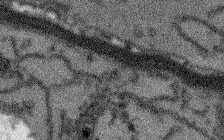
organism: Arabidopsis thaliana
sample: Root tip